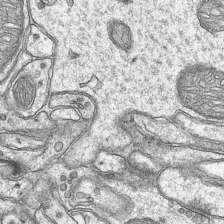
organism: Mouse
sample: CA1 Hippocampus